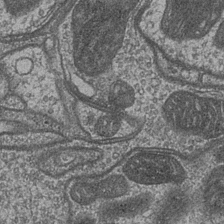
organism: Drosophila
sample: Optic medulla